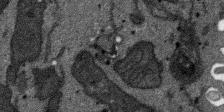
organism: Human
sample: Lung epithelial cells infected with SARS-CoV-2